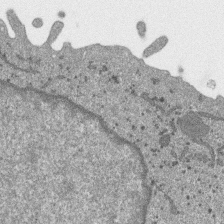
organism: Human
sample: Lung epithelial cells infected with SARS-CoV-2